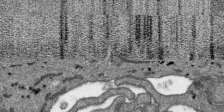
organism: Human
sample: Lung epithelial cells, uninfected (mock) control